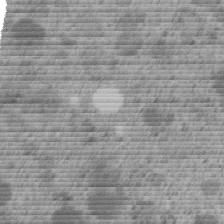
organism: C. elegans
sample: C. elegans embryo early stage